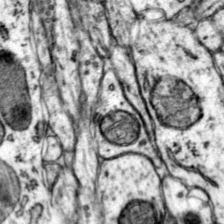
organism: Mouse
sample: Primary visual cortex